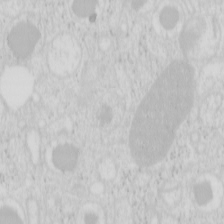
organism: Mouse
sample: Pancreas